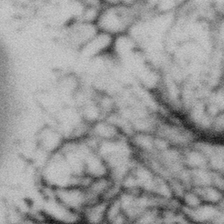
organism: Gemmata obscuriglobus